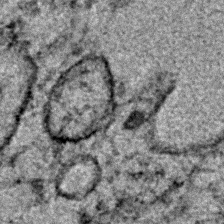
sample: Trachea